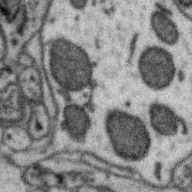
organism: Zebra finch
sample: Brain